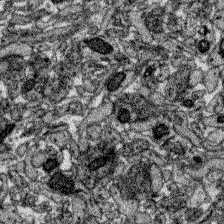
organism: Zebrafish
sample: Larval olfactory bulb